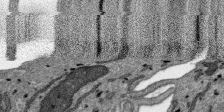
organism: Human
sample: Lung epithelial cells, uninfected (mock) control